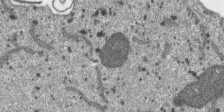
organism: Human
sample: Lung epithelial cells infected with SARS-CoV-2